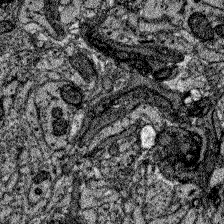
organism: Zebrafish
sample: Larval olfactory bulb